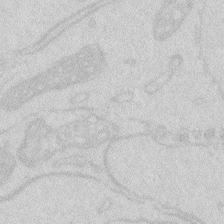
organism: Zebrafish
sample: Macrophage